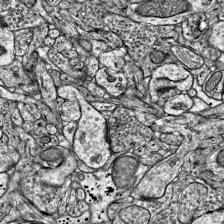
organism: Mouse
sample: Visual Cortex